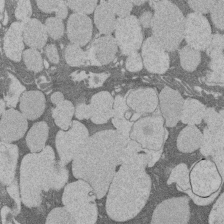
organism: Rat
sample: Salivary granule